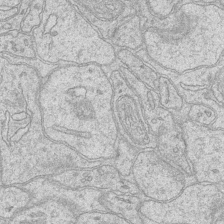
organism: Mouse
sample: CA1 Hippocampus